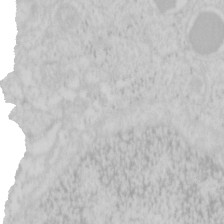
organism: Mouse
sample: Pancreas